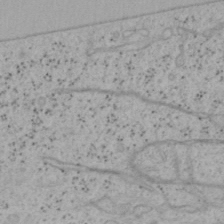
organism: Human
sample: HeLa cells